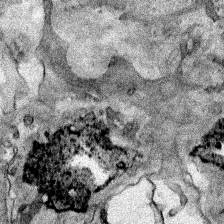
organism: Human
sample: Mitochondria in HCT116 cells